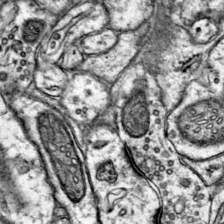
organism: Mouse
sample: Primary visual cortex